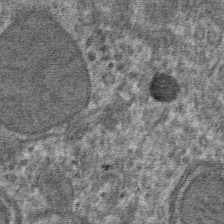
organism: Mouse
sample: Mouse hepatocytes